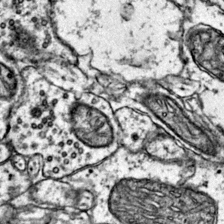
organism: Mouse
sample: Primary visual cortex